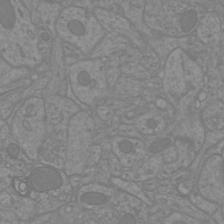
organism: Mouse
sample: Cortical neurons